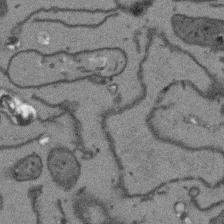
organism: Arabidopsis thaliana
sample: Root tip